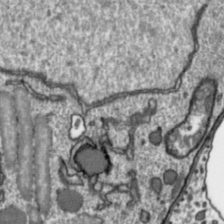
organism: Toxoplasma gondii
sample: Parasites in a vacuole inside a host cell